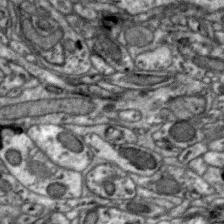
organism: Zebra finch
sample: Brain